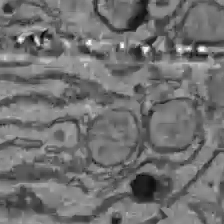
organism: C57BL Mouse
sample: Liver